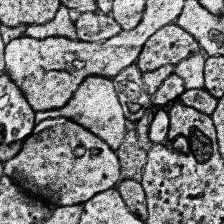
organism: Human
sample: Temporal Lobe